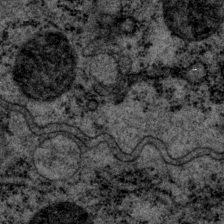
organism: P. pacificus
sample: Pharynx